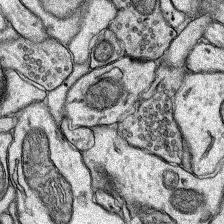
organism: Rat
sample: Hippocampus